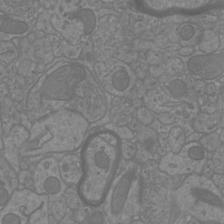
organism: Mouse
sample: Cortical neurons